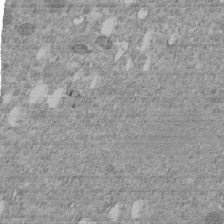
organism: C. elegans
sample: C. elegans embryo early stage